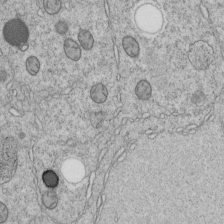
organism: C. elegans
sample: C. elegans embryo early stage